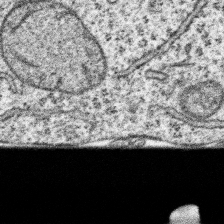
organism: Human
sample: HeLa cells